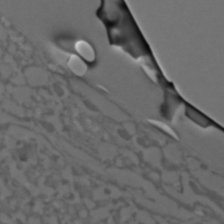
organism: C. elegans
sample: C. elegans embryo